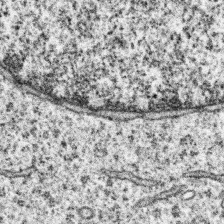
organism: Human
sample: HeLa cells